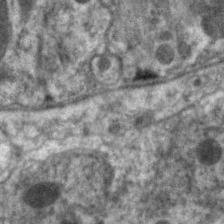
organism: C. elegans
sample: Pharynx